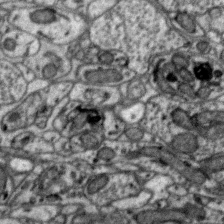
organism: Zebra finch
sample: Brain